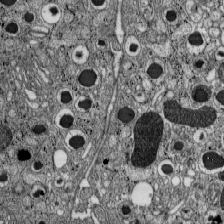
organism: C57BL Mouse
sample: Pancreatic islet